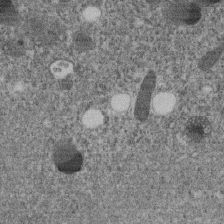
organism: C. elegans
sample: C. elegans embryo early stage